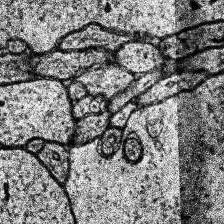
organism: Human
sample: Temporal Lobe